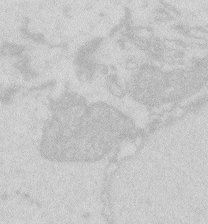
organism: Zebrafish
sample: Macrophage